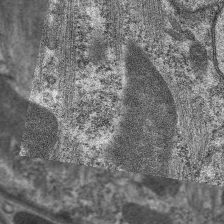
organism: C. elegans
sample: Pharynx